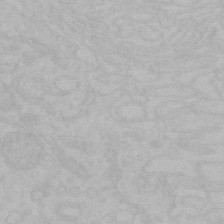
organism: Mouse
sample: Choroid plexus